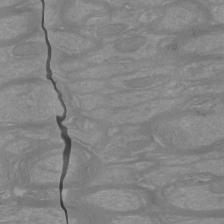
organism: Mouse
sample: Cortical neurons